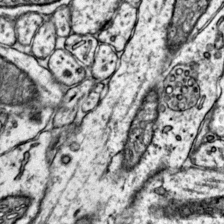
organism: Mouse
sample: Primary visual cortex